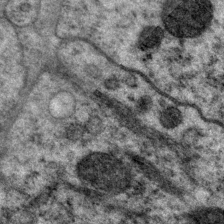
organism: P. pacificus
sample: Pharynx